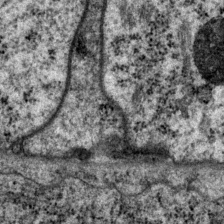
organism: P. pacificus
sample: Pharynx